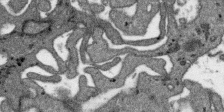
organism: Human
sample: Lung epithelial cells, uninfected (mock) control